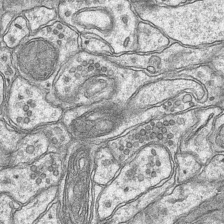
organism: Mouse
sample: CA1 Hippocampus